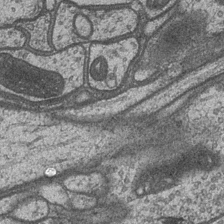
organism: Drosophila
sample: Optic medulla